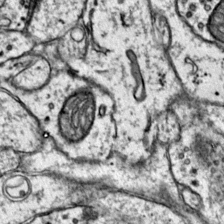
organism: Mouse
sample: Primary visual cortex